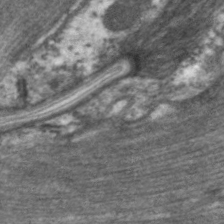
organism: C. elegans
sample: Pharynx